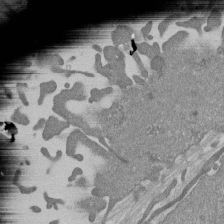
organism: Mouse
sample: ED-1 cell nuclei; centrioles